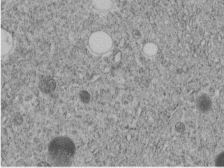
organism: C. elegans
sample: C. elegans embryo early stage